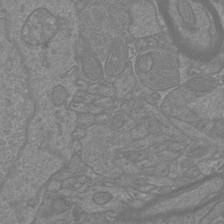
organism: Mouse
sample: Cortical neurons